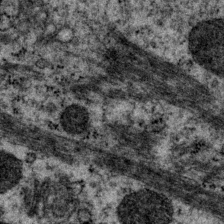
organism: P. pacificus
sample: Pharynx